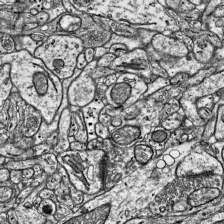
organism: Mouse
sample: Visual Cortex